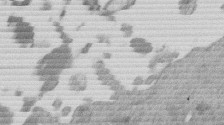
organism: Mouse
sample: Dividing mouse embryo 1 cell stage